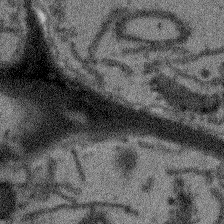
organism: Arabidopsis thaliana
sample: Root tip